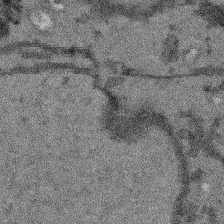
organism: Arabidopsis thaliana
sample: Root tip